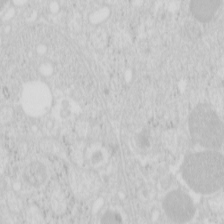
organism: Mouse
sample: Pancreas